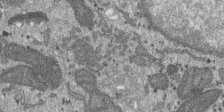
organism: Human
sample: Lung epithelial cells infected with SARS-CoV-2